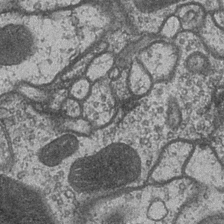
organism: Drosophila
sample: Optic medulla